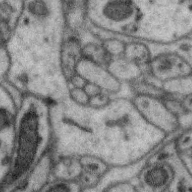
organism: Zebra finch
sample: Brain